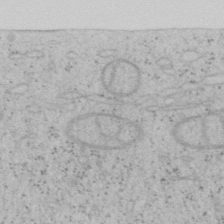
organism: Human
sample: HeLa cells